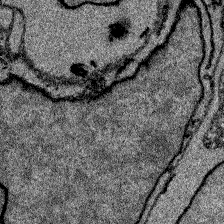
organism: Zebrafish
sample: Larval olfactory bulb